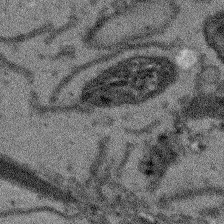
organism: Arabidopsis thaliana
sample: Root tip